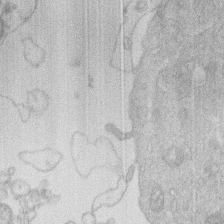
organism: Human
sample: Macrophage cells